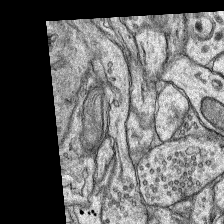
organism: Rat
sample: Hippocampus